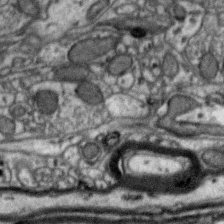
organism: Zebra finch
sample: Brain